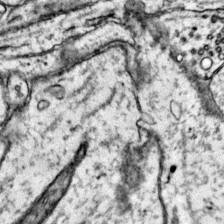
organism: Mouse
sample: Primary visual cortex